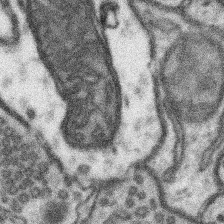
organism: Mouse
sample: Somatosensory cortex neuropil